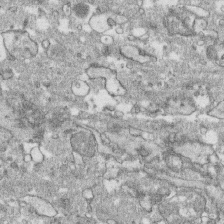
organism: Human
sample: CRL-1474